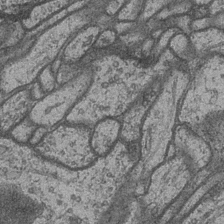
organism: Drosophila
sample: Optic medulla